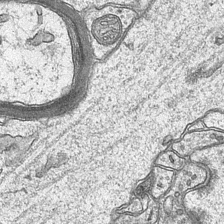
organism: Mouse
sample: CA1 Hippocampus